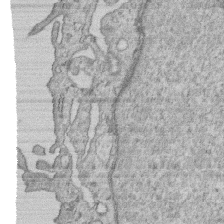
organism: Human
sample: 1205lu cells